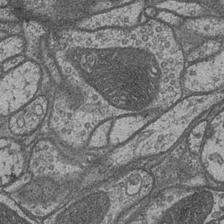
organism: Drosophila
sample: Optic medulla